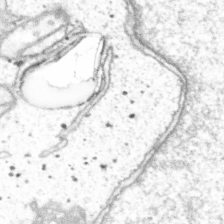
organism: Human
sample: HeLa cells